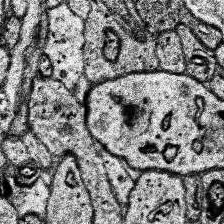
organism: Human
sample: Temporal Lobe